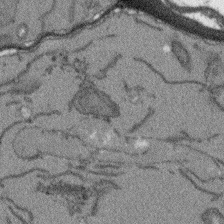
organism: Arabidopsis thaliana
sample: Root tip